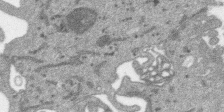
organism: Human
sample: Lung epithelial cells infected with SARS-CoV-2